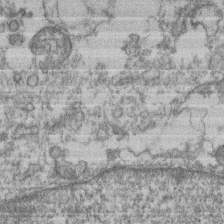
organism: Mouse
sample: T cell stromal cell synapse